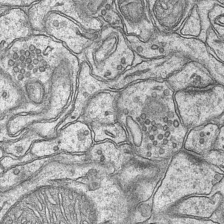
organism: Mouse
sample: CA1 Hippocampus